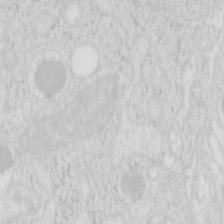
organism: Mouse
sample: Pancreas